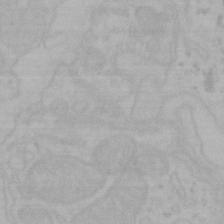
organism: Mouse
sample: Choroid plexus